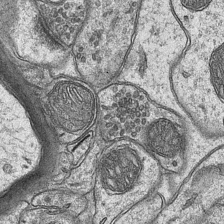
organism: Mouse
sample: CA1 Hippocampus